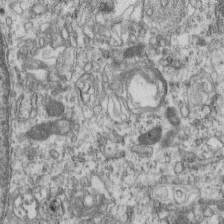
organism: Mouse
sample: Centriole in ependymal cells